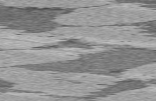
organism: C57BL Mouse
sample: Heart